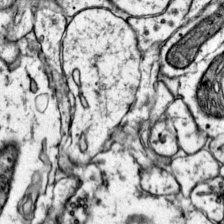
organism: Mouse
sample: Primary visual cortex